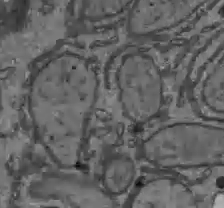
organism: C57BL Mouse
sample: Liver